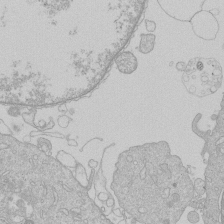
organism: Human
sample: Macrophage cells